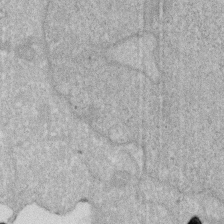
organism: Human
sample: HIV infected U937 cells